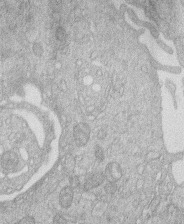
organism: Human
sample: Macrophage cells